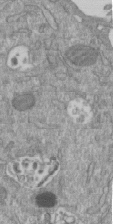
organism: Mouse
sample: ED-1 cell nuclei; centrioles